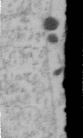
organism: Human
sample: U2-OS cells